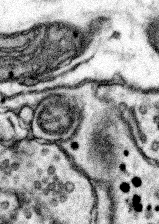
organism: Mouse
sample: Somatosensory cortex neuropil